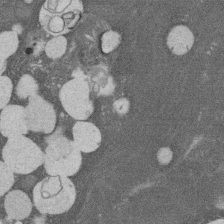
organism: Rat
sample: Salivary granule